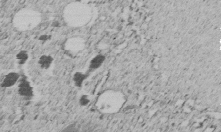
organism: C. elegans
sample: C. elegans embryo early stage